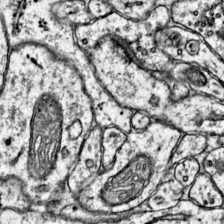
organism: Mouse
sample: Primary visual cortex